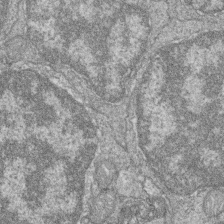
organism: Zebrafish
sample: Cilia; retinal pigment epithelium